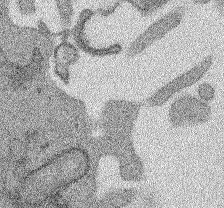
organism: Human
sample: HeLa cells